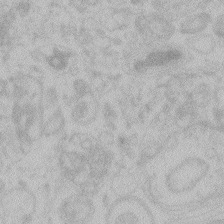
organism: Zebrafish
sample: Macrophage infected with Toxoplasma gondii